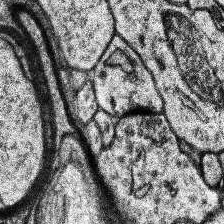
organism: Human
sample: Temporal Lobe